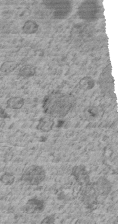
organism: C. elegans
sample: C. elegans embryo early stage